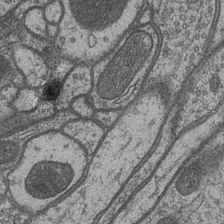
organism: Drosophila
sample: Optic medulla